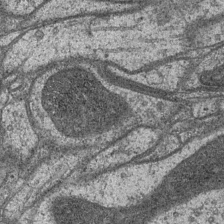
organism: Drosophila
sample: Optic medulla